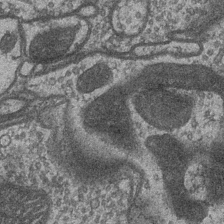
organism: Drosophila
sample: Optic medulla